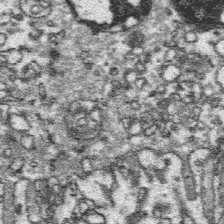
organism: Platynereis dumerilii